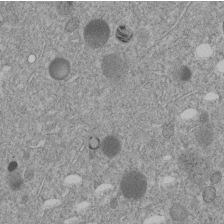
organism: C. elegans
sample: C. elegans embryo early stage